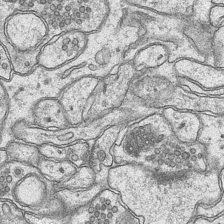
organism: Mouse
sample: CA1 Hippocampus